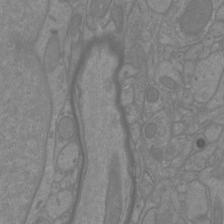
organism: Mouse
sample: Cortical neurons